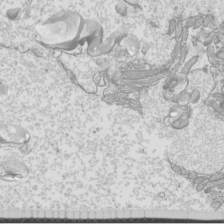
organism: Mouse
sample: Cilia; mouse epididymis